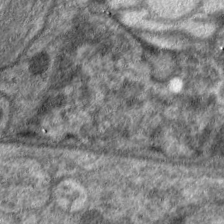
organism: C. elegans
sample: Pharynx